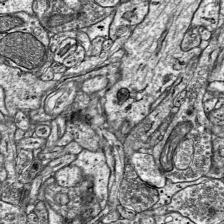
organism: Mouse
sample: Visual Cortex